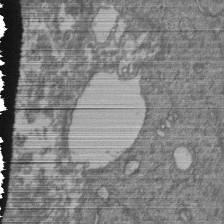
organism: Human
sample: Retinal organoid Rod and Cone cells